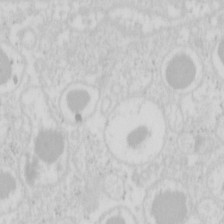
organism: Mouse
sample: Pancreas